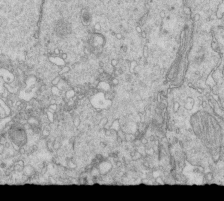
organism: Mouse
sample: Multiciliated cells